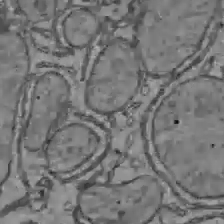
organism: C57BL Mouse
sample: Liver